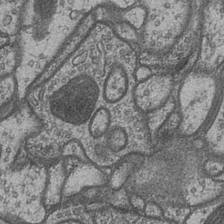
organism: Drosophila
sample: Optic medulla